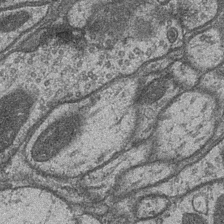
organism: Drosophila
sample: Optic medulla